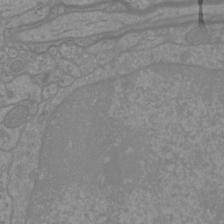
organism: Mouse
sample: Cortical neurons